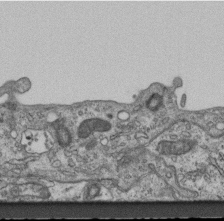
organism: Mouse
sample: Centriole in ependymal cells